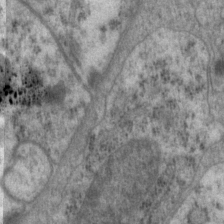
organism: P. pacificus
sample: Pharynx